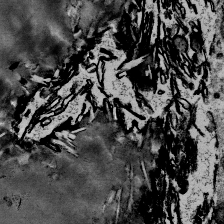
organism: Mouse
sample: Mouse Salivary gland